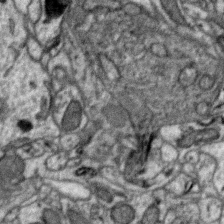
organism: Zebra finch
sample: Brain